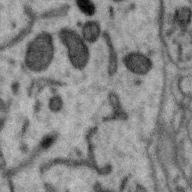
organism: Zebra finch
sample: Brain